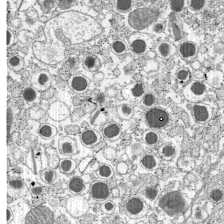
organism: C57BL Mouse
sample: Pancreatic islet